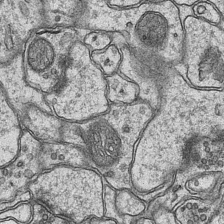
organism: Mouse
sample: CA1 Hippocampus